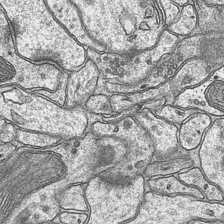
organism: Mouse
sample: CA1 Hippocampus